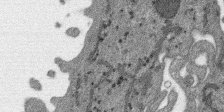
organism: Human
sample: Lung epithelial cells infected with SARS-CoV-2